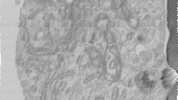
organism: Human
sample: Centriole in RPE cells